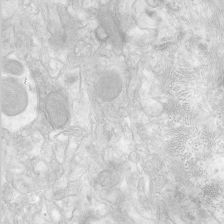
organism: Human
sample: Neocortex